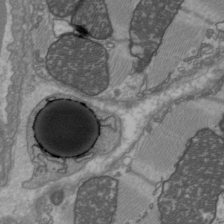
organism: C57BL Mouse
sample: Heart